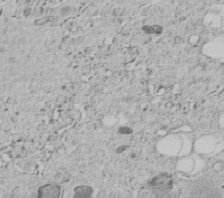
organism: C. elegans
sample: C. elegans embryo early stage